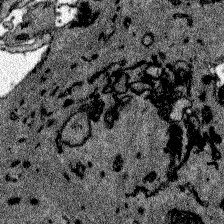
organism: Zebrafish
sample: Larval olfactory bulb